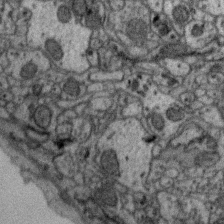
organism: Zebra finch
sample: Brain